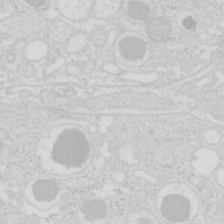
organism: Mouse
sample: Pancreas